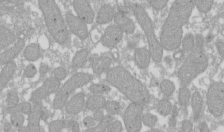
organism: Xenopus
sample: Cilia; centrioles in frog embryo cells